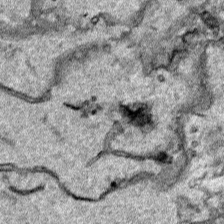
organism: Human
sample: Mitochondria in HCT116 cells